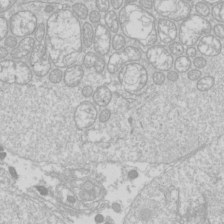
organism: Drosophila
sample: Cell division; meiosis; drosophila spermatocytes